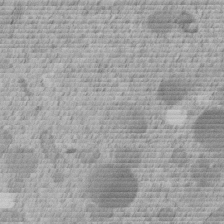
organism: C. elegans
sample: C. elegans embryo early stage